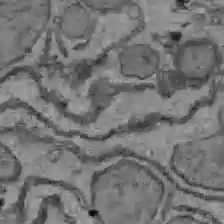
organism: C57BL Mouse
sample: Liver